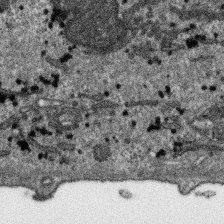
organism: Human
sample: Lung epithelial cells infected with SARS-CoV-2